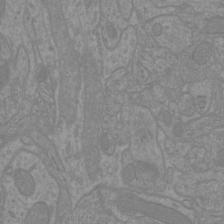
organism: Mouse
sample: Cortical neurons